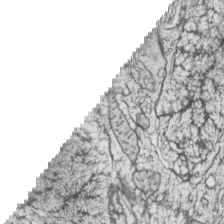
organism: Zebrafish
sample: synaptic ribbons in rod cells and cone cells